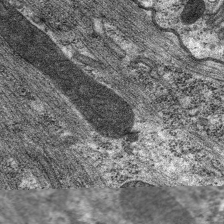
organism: C. elegans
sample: Pharynx